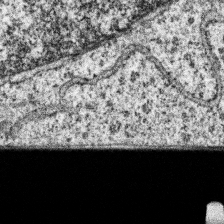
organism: Human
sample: HeLa cells